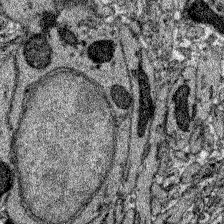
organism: Zebrafish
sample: Larval olfactory bulb